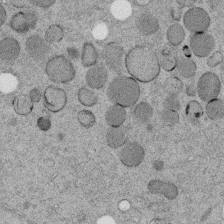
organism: C. elegans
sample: C. elegans embryo early stage